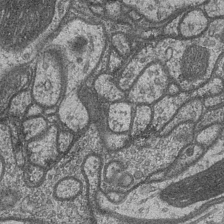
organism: Drosophila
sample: Optic medulla